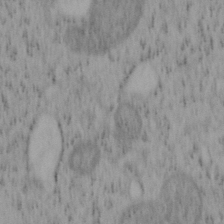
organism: Mouse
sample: OT-I killer T cells with ID8 ovarian cancer cells